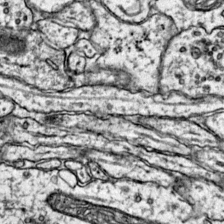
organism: Mouse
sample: Primary visual cortex